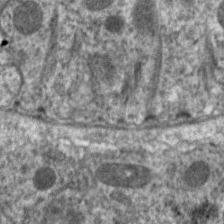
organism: C. elegans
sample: Pharynx